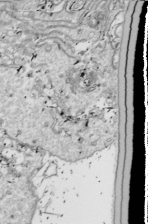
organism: Drosophila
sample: Cell division; meiosis; drosophila spermatocytes